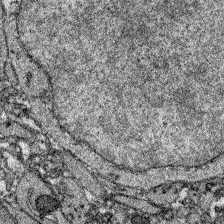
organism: Zebrafish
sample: Larval olfactory bulb